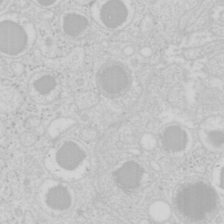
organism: Mouse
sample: Pancreas